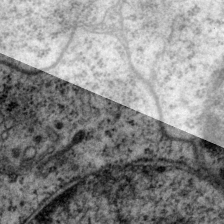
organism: P. pacificus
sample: Pharynx